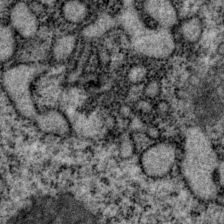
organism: P. pacificus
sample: Pharynx